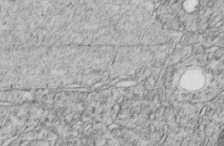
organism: C. elegans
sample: C. elegans embryo early stage